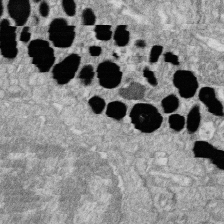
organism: Zebrafish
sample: Cilia; retinal pigment epithelium